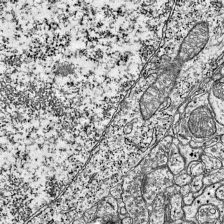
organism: Mouse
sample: Visual Cortex